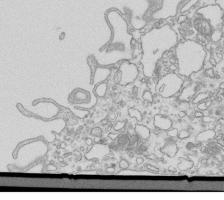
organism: Mouse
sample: Macrophages